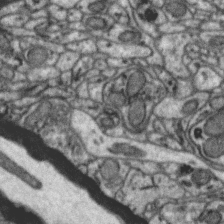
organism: Zebra finch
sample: Brain